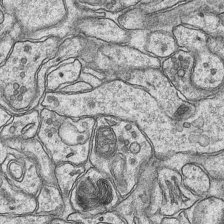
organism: Mouse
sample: CA1 Hippocampus